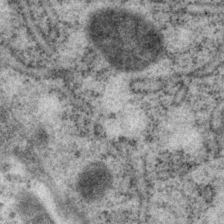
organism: P. pacificus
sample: Pharynx